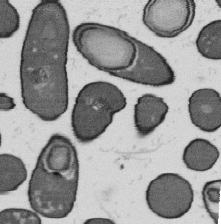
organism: B. subtilis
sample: Bacterial spore